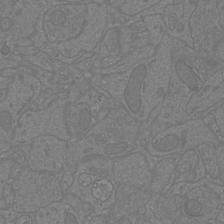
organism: Mouse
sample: Cortical neurons